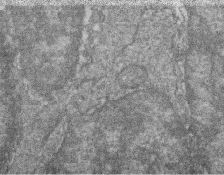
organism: Zebrafish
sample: Cilia; retinal pigment epithelium